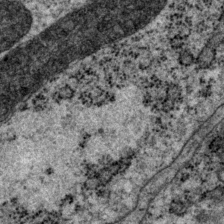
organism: P. pacificus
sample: Pharynx